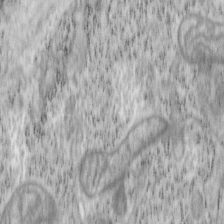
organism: Human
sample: HeLa cells